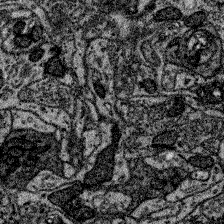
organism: Zebrafish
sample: Larval olfactory bulb